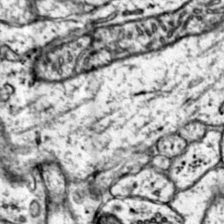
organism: Mouse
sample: Primary visual cortex